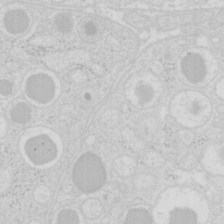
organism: Mouse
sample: Pancreas